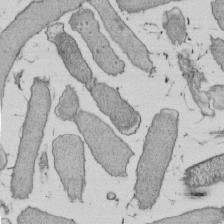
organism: E. coli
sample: Bacterial nucleoid